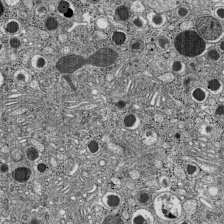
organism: C57BL Mouse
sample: Pancreatic islet